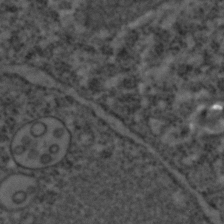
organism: C. elegans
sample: C. elegans embryo